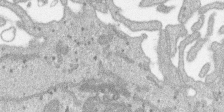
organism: Human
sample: Lung epithelial cells infected with SARS-CoV-2